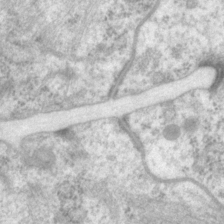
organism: P. pacificus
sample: Pharynx